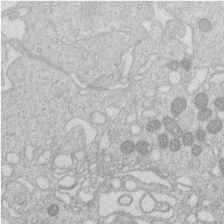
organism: Human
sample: Macrophage cells